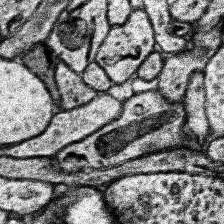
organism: Human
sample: Temporal Lobe